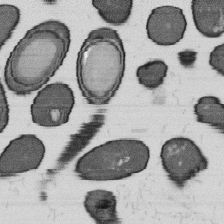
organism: B. subtilis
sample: Bacterial spore